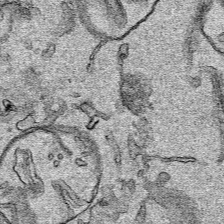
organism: Human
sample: Mitochondria in HCT116 cells